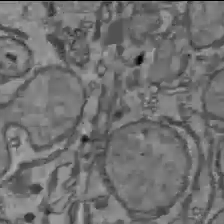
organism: C57BL Mouse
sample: Liver